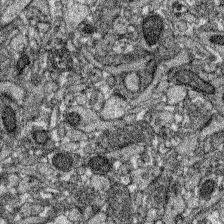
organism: Zebrafish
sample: Larval olfactory bulb